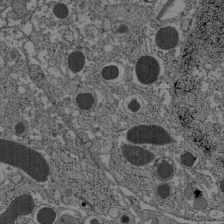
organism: C57BL Mouse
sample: Pancreatic islet